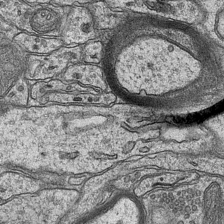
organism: Mouse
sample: CA1 Hippocampus